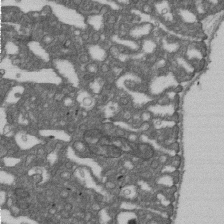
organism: Drosophila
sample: Nephrocyte